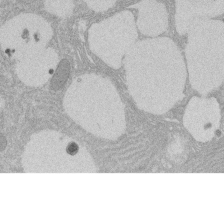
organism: Rat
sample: Salivary granule